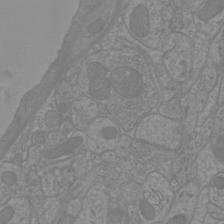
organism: Mouse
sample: Cortical neurons